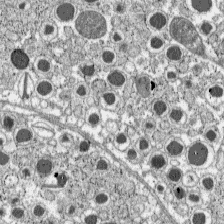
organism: C57BL Mouse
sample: Pancreatic islet